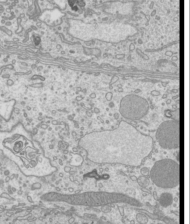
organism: Mouse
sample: Cilia; mouse epididymis